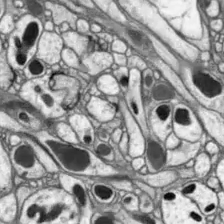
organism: Drosophila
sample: Optic lobe